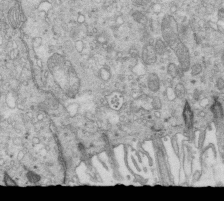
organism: Mouse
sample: Multiciliated cells